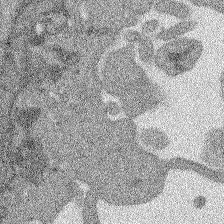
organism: Human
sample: HeLa cells